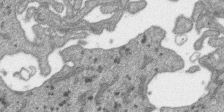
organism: Human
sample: Lung epithelial cells infected with SARS-CoV-2